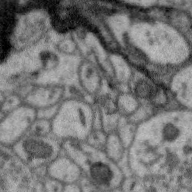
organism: Zebra finch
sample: Brain